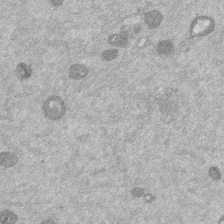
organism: Mouse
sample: Dividing mouse embryo 1 cell stage